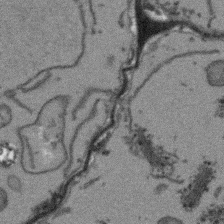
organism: Arabidopsis thaliana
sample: Root tip